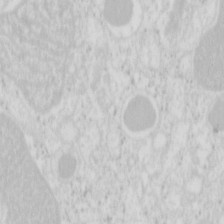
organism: Mouse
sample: Pancreas